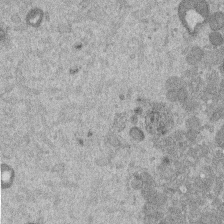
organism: Mouse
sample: Dividing mouse embryo 1 cell stage